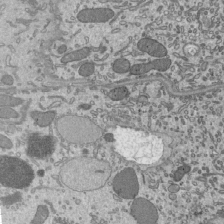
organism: Mouse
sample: Mouse epididymis efferent ductule cilia